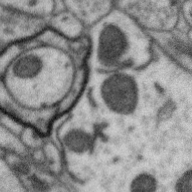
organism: Zebra finch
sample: Brain